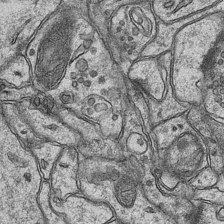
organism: Mouse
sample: CA1 Hippocampus